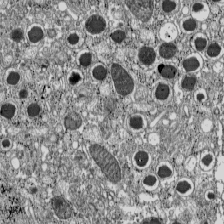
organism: C57BL Mouse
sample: Pancreatic islet